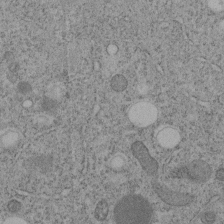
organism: C. elegans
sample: C. elegans embryo early stage